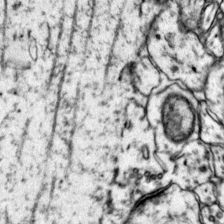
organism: Mouse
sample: Primary visual cortex